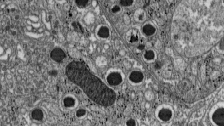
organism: C57BL Mouse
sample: Pancreatic islet